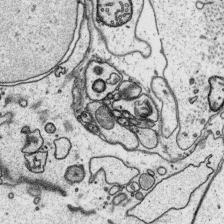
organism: Platynereis dumerilii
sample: Parapodia